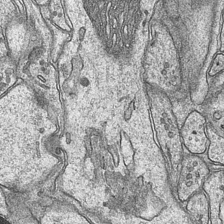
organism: Mouse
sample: CA1 Hippocampus